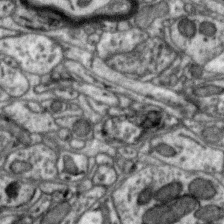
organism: Zebra finch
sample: Brain